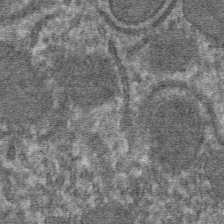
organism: Mouse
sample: Mouse hepatocytes